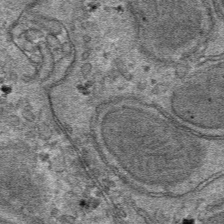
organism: Mouse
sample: Mouse hepatocytes